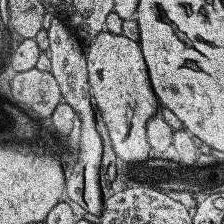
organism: Human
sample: Temporal Lobe